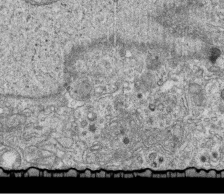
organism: Human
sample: HeLa cell HIV synapse